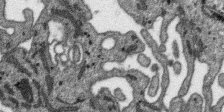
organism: Human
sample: Lung epithelial cells infected with SARS-CoV-2